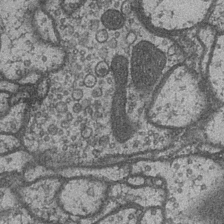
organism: Drosophila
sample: Optic medulla